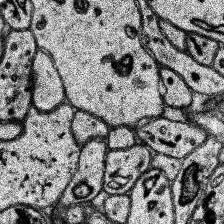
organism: Human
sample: Temporal Lobe